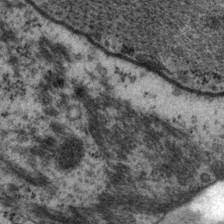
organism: P. pacificus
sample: Pharynx